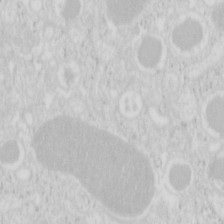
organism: Mouse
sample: Pancreas